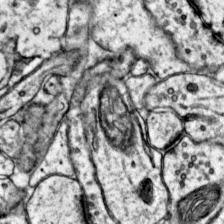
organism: Mouse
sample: Primary visual cortex